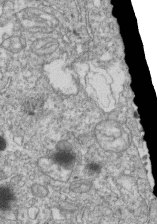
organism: Human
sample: HeLa cell HIV synapse